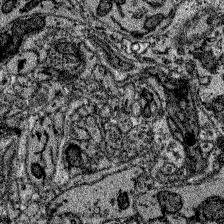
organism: Zebrafish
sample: Larval olfactory bulb